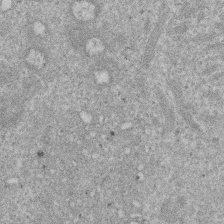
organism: Mouse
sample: Dividing mouse embryo 1 cell stage